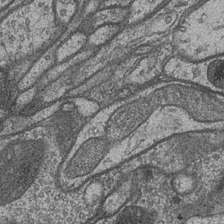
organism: Drosophila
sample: Optic medulla